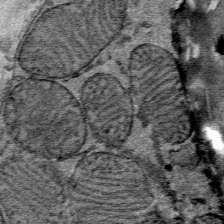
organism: Mouse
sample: Mouse Salivary gland